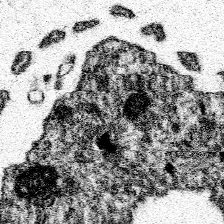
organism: Spongilla lacustris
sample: Neuroid cell